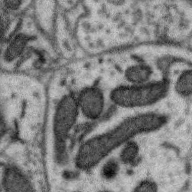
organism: Zebra finch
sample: Brain